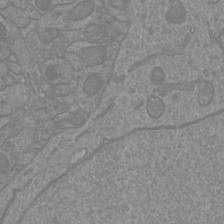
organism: Mouse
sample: Cortical neurons